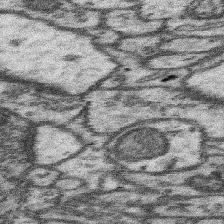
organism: Mouse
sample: Somatosensory cortex neuropil